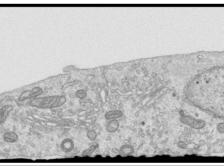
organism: Human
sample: Centriole in RPE cells